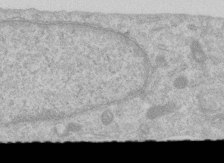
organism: Human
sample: Centriole in RPE cells